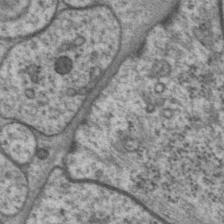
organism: P. pacificus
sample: Pharynx